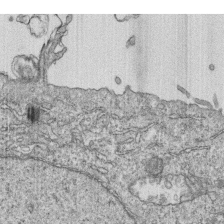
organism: Human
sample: HeLa cell HIV synapse